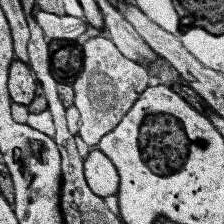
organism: Human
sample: Temporal Lobe